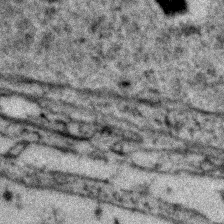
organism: Zebrafish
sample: Zebrafish embryo